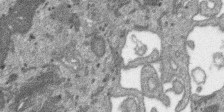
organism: Human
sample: Lung epithelial cells infected with SARS-CoV-2